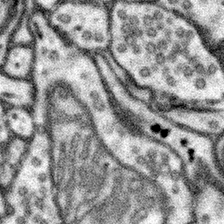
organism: Mouse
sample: Somatosensory cortex neuropil